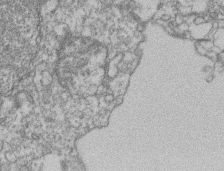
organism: Mouse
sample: T cell stromal cell synapse